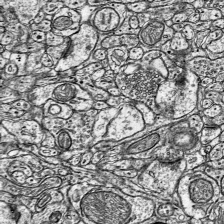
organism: Mouse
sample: Visual Cortex